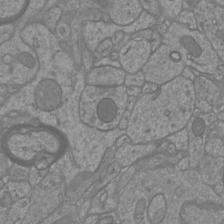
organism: Mouse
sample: Cortical neurons